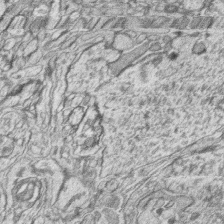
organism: Zebrafish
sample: synaptic ribbons in rod cells and cone cells